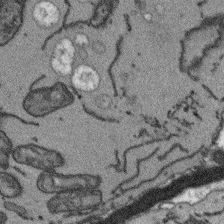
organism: Arabidopsis thaliana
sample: Root tip